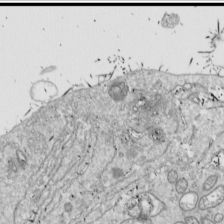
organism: Drosophila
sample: Cell division; meiosis; drosophila spermatocytes